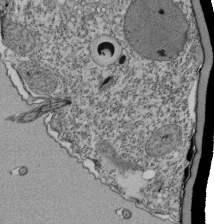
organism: Tetrahymena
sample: Cilia in tetrahymena